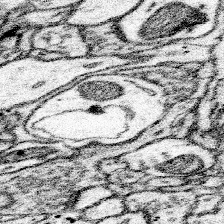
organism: Mouse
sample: Somatosensory cortex neuropil